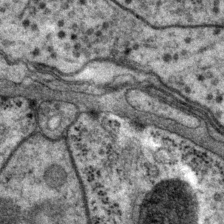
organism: P. pacificus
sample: Pharynx